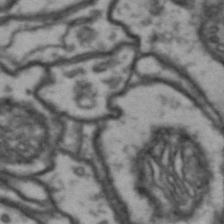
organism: Drosophila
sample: Brain